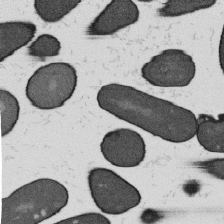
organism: B. subtilis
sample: Bacterial spore